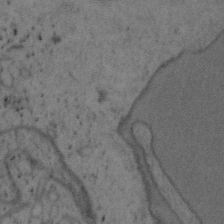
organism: Human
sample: HeLa cells